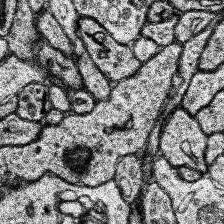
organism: Human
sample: Temporal Lobe